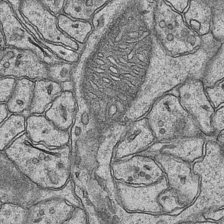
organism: Mouse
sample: CA1 Hippocampus